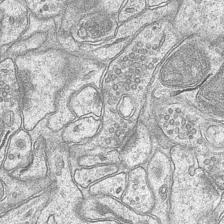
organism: Mouse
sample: CA1 Hippocampus